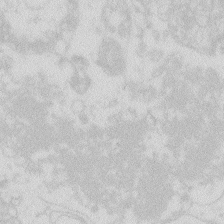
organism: Zebrafish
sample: Macrophage